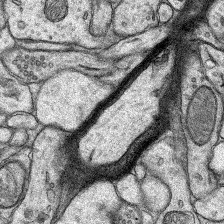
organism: Rat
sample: Hippocampus